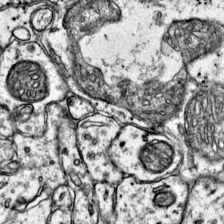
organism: Mouse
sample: Primary visual cortex